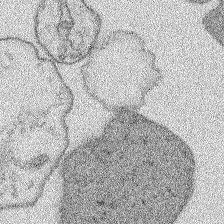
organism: Human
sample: HeLa cells